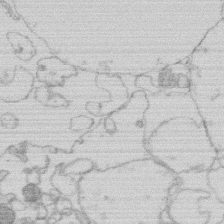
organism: Human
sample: Macrophage cells